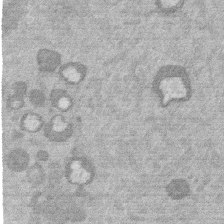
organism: Mouse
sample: Dividing mouse embryo 1 cell stage